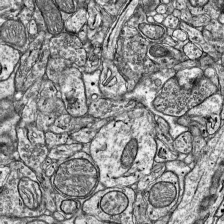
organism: Mouse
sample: Visual Cortex